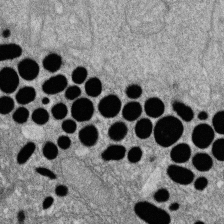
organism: Zebrafish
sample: Cilia; retinal pigment epithelium